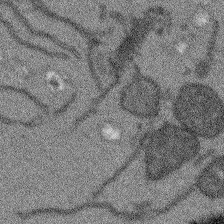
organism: Arabidopsis thaliana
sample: Root tip